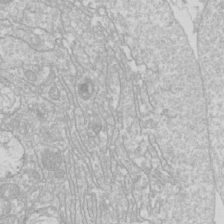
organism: Drosophila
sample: Cell division; meiosis; drosophila spermatocytes